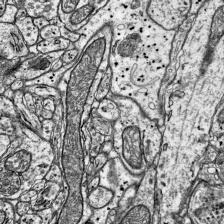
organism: Mouse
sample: Visual Cortex